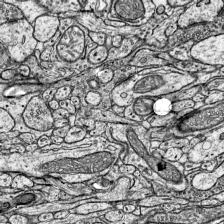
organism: Mouse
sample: Visual Cortex